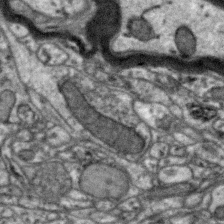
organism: Zebra finch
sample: Brain